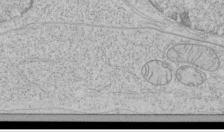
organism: Human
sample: Mitochondria in HCT116 cells